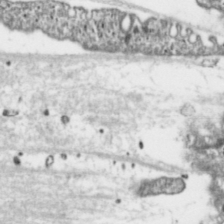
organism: Toxoplasma gondii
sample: Parasites in a vacuole inside a host cell